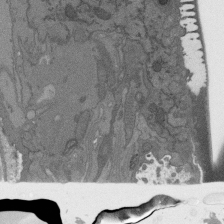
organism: C. elegans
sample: AFD neurons C. elegans